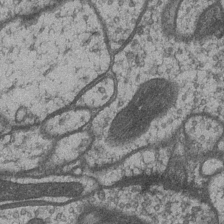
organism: Drosophila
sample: Optic medulla